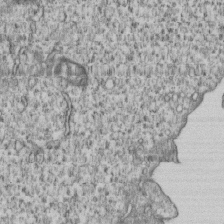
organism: Human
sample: MDA-MB-231 cells